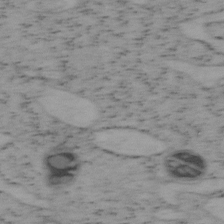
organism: Mouse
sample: OT-I killer T cells with ID8 ovarian cancer cells